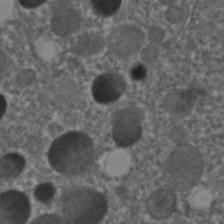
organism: C. elegans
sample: C. elegans embryo